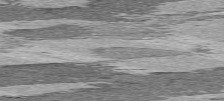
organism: C57BL Mouse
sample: Heart